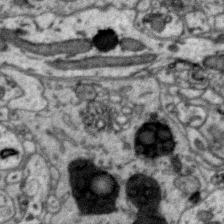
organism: Zebra finch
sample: Brain